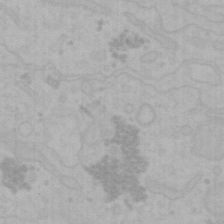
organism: Mouse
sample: Choroid plexus